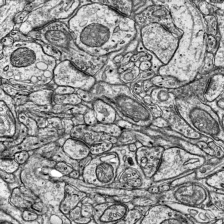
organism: Mouse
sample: Visual Cortex